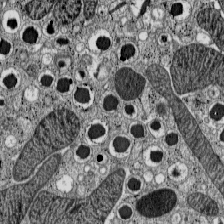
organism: C57BL Mouse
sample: Pancreatic islet